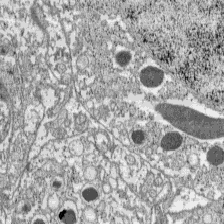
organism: C57BL Mouse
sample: Pancreatic islet